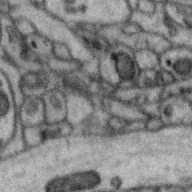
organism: Zebra finch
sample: Brain